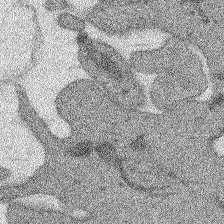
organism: Human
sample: HeLa cells